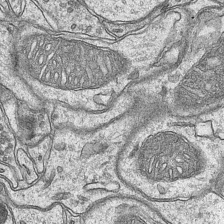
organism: Mouse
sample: CA1 Hippocampus